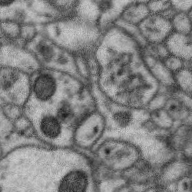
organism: Zebra finch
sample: Brain